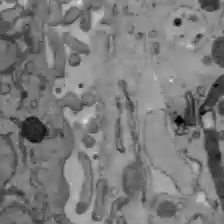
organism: C57BL Mouse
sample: Liver